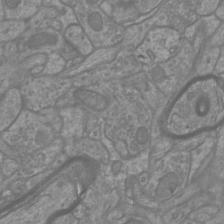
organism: Mouse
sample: Cortical neurons